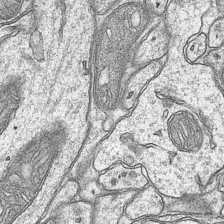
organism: Mouse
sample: CA1 Hippocampus